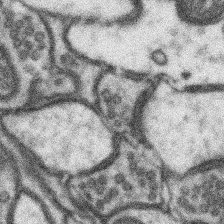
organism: Mouse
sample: Somatosensory cortex neuropil